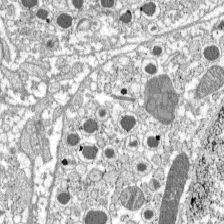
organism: C57BL Mouse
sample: Pancreatic islet